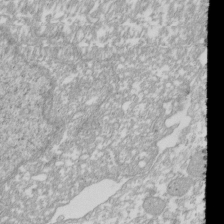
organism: Xenopus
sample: Cilia; centrioles in frog embryo cells